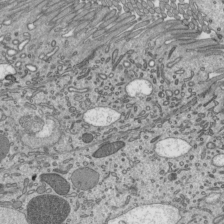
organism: Mouse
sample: Mouse epididymis efferent ductule cilia